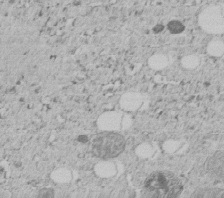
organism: C. elegans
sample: C. elegans embryo early stage